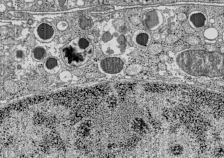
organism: C57BL Mouse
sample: Pancreatic islet